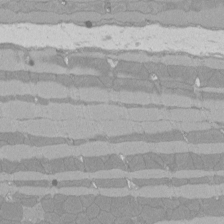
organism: Rat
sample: Left ventricle